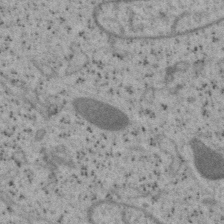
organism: Human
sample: HeLa cells